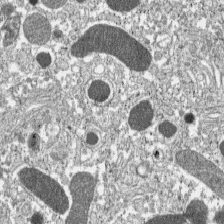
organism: C57BL Mouse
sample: Pancreatic islet